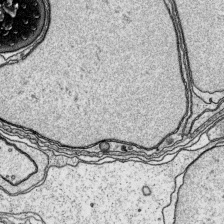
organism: Platynereis dumerilii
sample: Parapodia